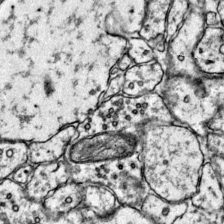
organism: Mouse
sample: Primary visual cortex